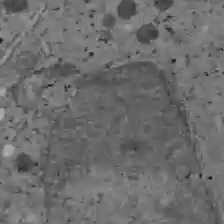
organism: C57BL Mouse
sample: Liver